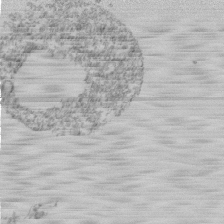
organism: Mouse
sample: Activated Pmel transgenic CD8+ T Cells